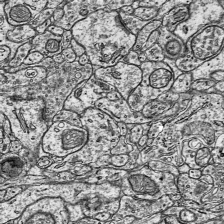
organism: Mouse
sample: Visual Cortex